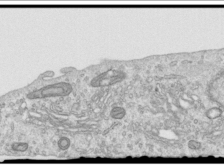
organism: Human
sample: Centriole in RPE cells